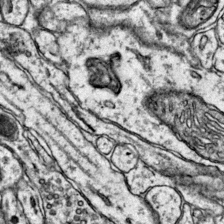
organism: Mouse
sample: Primary visual cortex